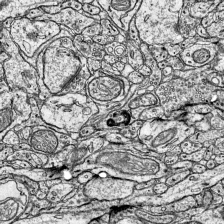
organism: Mouse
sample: Visual Cortex